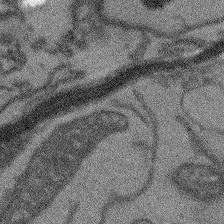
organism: Arabidopsis thaliana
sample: Root tip